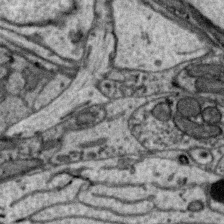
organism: Zebra finch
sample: Brain